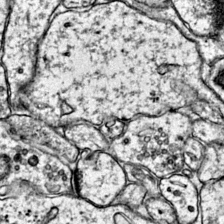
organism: Mouse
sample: Primary visual cortex